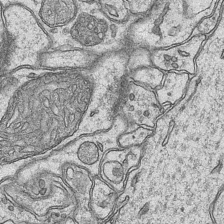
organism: Mouse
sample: CA1 Hippocampus